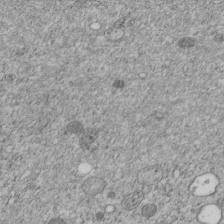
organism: C. elegans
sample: C. elegans embryo early stage